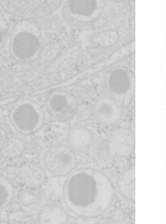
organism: Mouse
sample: Pancreas